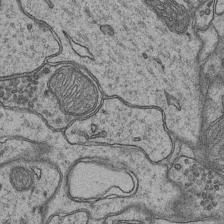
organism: Mouse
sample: CA1 Hippocampus